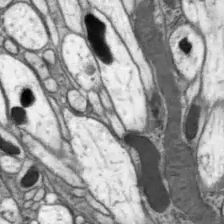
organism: Drosophila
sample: Optic lobe